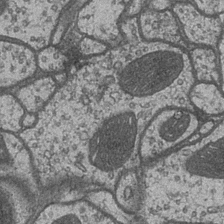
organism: Drosophila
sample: Optic medulla